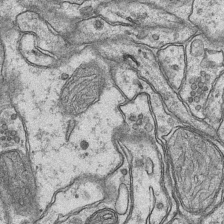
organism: Mouse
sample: CA1 Hippocampus